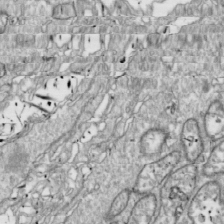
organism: Drosophila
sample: Cell division; meiosis; drosophila spermatocytes